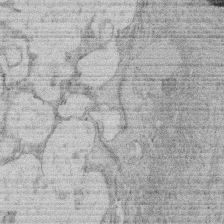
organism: Rat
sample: Salivary granule